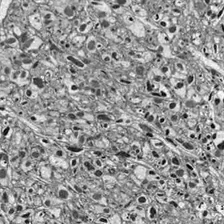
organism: Drosophila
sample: Optic lobe